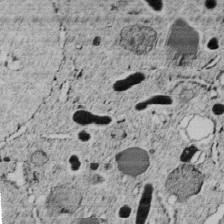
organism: C. elegans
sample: C. elegans embryo early stage